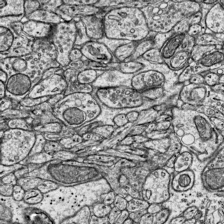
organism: Mouse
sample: Visual Cortex